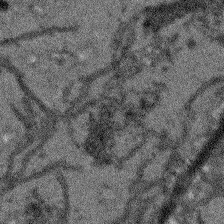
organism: Arabidopsis thaliana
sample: Root tip